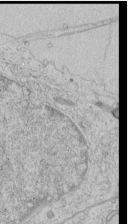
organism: Human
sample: Mitochondria in HCT116 cells